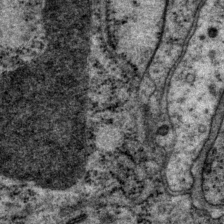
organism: P. pacificus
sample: Pharynx